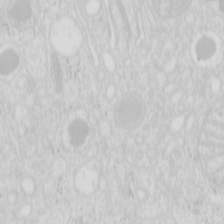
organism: Mouse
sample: Pancreas